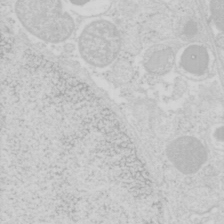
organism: Mouse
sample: Pancreas